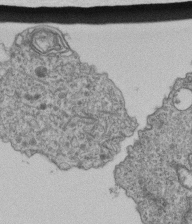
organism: Human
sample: Retinal organoid Rod and Cone cells